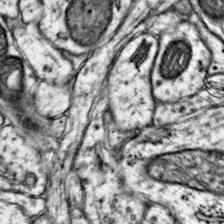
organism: Mouse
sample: Primary visual cortex